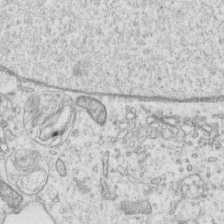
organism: Human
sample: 1205lu cells